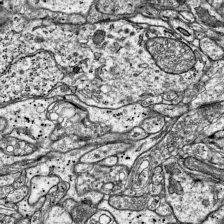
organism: Mouse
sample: Visual Cortex